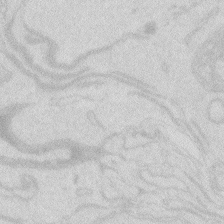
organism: Zebrafish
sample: Macrophage